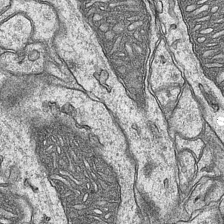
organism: Mouse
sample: CA1 Hippocampus